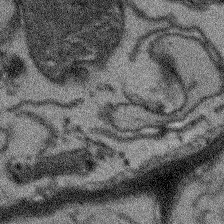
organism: Arabidopsis thaliana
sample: Root tip